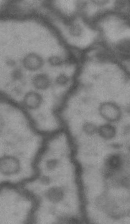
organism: Drosophila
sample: Brain